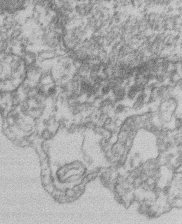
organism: Mouse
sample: T cell stromal cell synapse